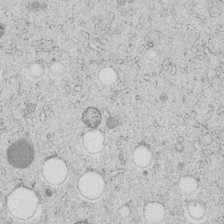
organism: C. elegans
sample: C. elegans embryo early stage